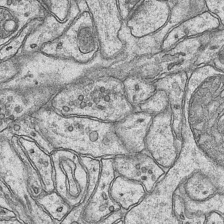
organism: Mouse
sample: CA1 Hippocampus